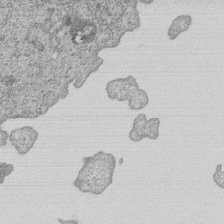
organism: Human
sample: MDA-MB-231 cells